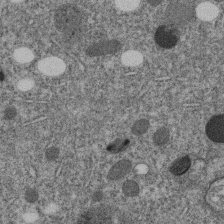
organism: C. elegans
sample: C. elegans embryo early stage